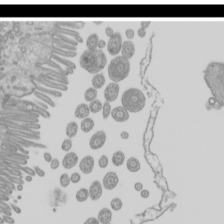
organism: Mouse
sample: Cilia; mouse epididymis